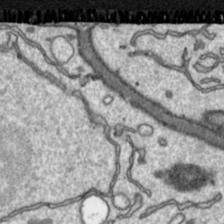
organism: Toxoplasma gondii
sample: Parasites in a vacuole inside a host cell